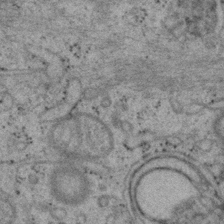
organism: Human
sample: HeLa cells